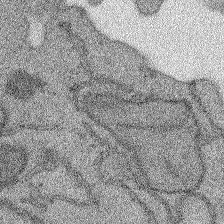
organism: Human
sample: HeLa cells